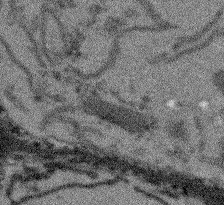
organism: Arabidopsis thaliana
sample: Root tip